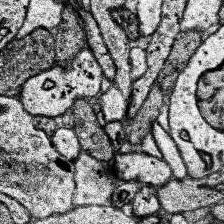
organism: Human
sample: Temporal Lobe